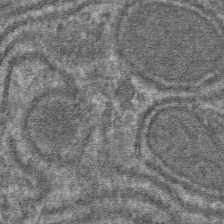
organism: Mouse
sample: Mouse hepatocytes